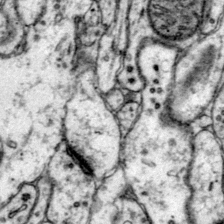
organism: Mouse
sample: Primary visual cortex